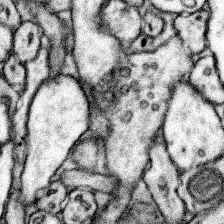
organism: Mouse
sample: Somatosensory cortex neuropil